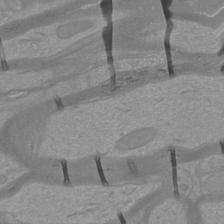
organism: Mouse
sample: Cortical neurons